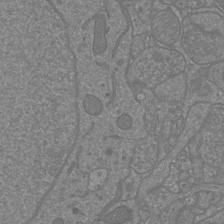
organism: Mouse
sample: Cortical neurons